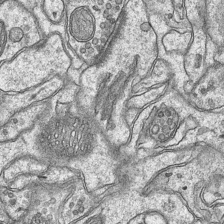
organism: Mouse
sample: CA1 Hippocampus